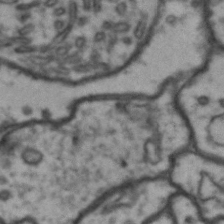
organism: Drosophila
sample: Brain